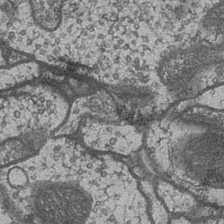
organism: Drosophila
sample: Optic medulla